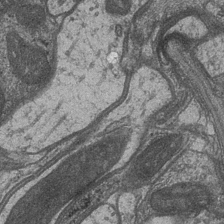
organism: Drosophila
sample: Optic medulla